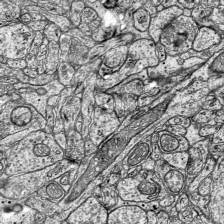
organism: Mouse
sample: Visual Cortex